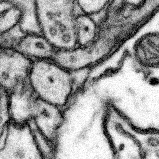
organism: Mouse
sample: Somatosensory cortex neuropil